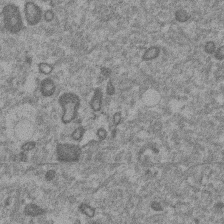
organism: Mouse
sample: Dividing mouse embryo 1 cell stage